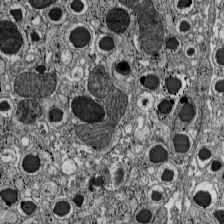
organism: C57BL Mouse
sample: Pancreatic islet